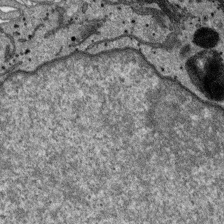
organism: Human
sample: Lung epithelial cells, uninfected (mock) control